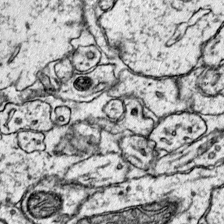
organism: Mouse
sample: Primary visual cortex